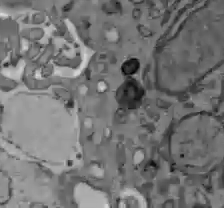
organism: C57BL Mouse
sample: Liver